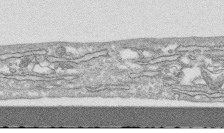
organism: Human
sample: CRL-1474